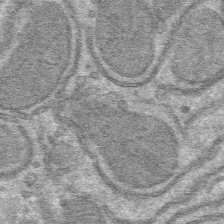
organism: Mouse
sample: Mouse hepatocytes